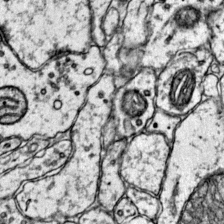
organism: Mouse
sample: Primary visual cortex